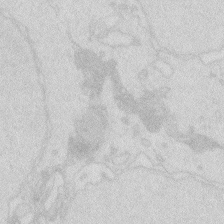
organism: Zebrafish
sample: Macrophage